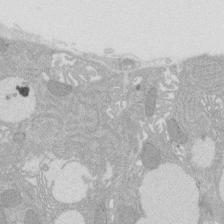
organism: Rat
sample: Salivary granule